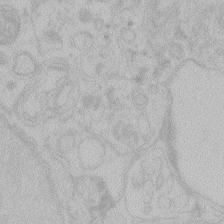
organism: Zebrafish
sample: Macrophage infected with Toxoplasma gondii